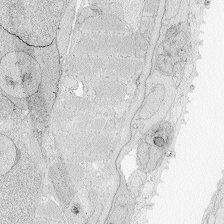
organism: Zebrafish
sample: Whole-Brain